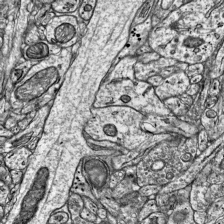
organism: Mouse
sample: Visual Cortex